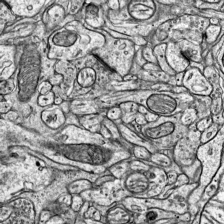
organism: Mouse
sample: Visual Cortex